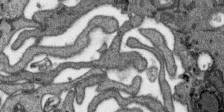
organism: Human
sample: Lung epithelial cells, uninfected (mock) control